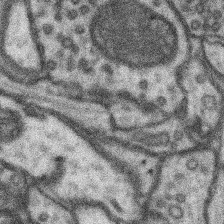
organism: Mouse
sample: Somatosensory cortex neuropil